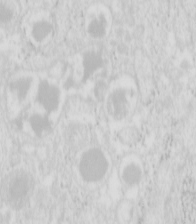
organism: Mouse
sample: Pancreas